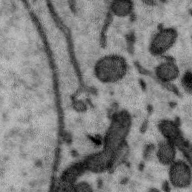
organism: Zebra finch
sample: Brain